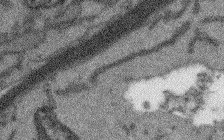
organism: Arabidopsis thaliana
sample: Root tip